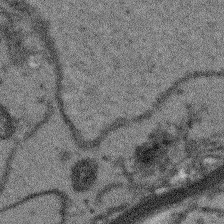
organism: Arabidopsis thaliana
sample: Root tip